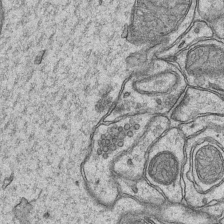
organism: Mouse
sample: CA1 Hippocampus